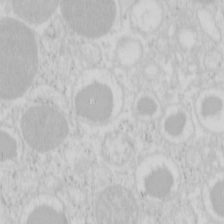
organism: Mouse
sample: Pancreas